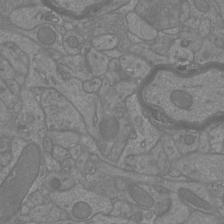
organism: Mouse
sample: Cortical neurons